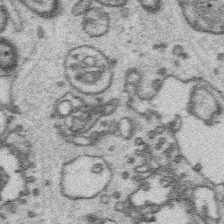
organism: Platynereis dumerilii